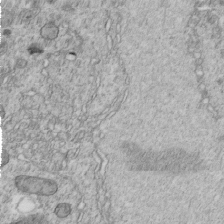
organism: C. elegans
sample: C. elegans embryo early stage